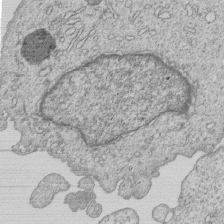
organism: Human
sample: MDA-MB-231 cells